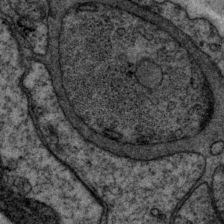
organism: P. pacificus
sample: Pharynx